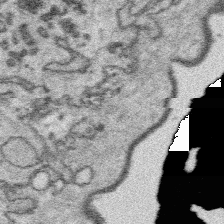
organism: Platynereis dumerilii